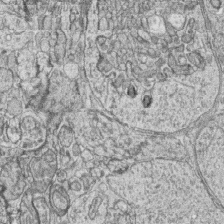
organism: Zebrafish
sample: synaptic ribbons in rod cells and cone cells